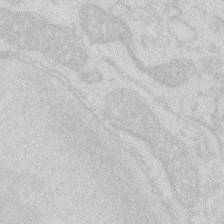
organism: Zebrafish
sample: Macrophage